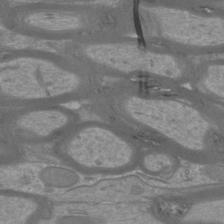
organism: Mouse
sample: Cortical neurons